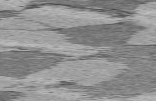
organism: C57BL Mouse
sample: Heart